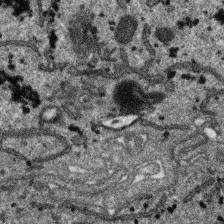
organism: Human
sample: Lung epithelial cells infected with SARS-CoV-2